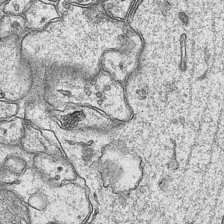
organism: Mouse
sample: CA1 Hippocampus